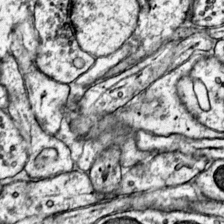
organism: Mouse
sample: Primary visual cortex